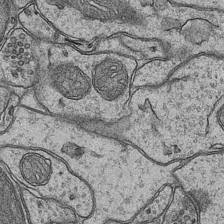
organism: Mouse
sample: CA1 Hippocampus